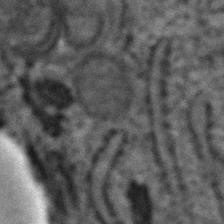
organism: Human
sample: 1205lu cells